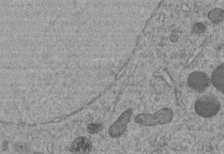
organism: C. elegans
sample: C. elegans embryo early stage